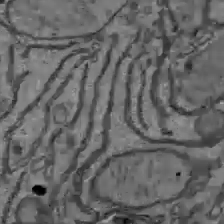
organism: C57BL Mouse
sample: Liver